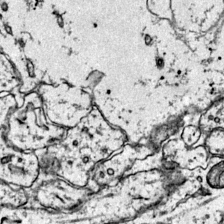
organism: Mouse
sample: Primary visual cortex